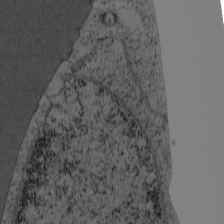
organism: African green monkey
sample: COS-7 cells